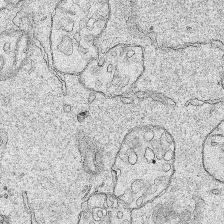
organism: Human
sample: Mitochondria in HCT116 cells